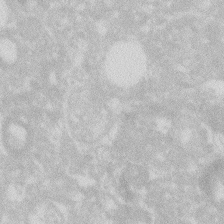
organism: Zebrafish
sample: Macrophage